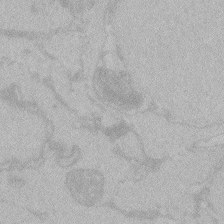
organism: Zebrafish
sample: Macrophage infected with Toxoplasma gondii